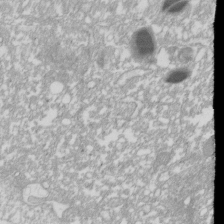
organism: Xenopus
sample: Cilia; centrioles in frog embryo cells